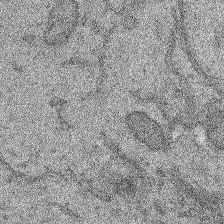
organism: Human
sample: HeLa cells